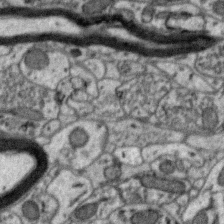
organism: Zebra finch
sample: Brain